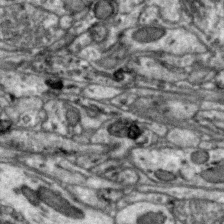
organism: Zebra finch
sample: Brain